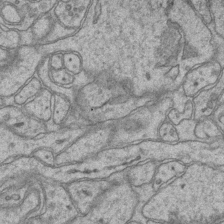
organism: Mouse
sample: CA1 Hippocampus